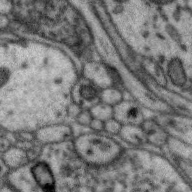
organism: Zebra finch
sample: Brain